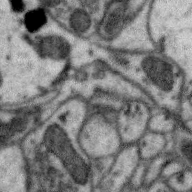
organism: Zebra finch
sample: Brain